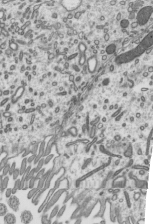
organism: Mouse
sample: Mouse epididymis efferent ductule cilia